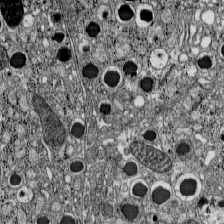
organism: C57BL Mouse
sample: Pancreatic islet